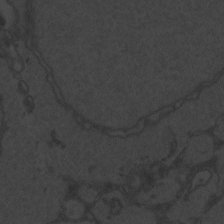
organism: Zebrafish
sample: Macrophage infected with Toxoplasma gondii